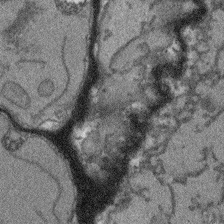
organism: Arabidopsis thaliana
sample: Root tip